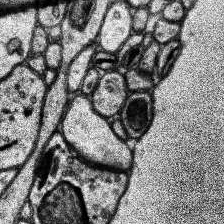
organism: Human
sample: Temporal Lobe